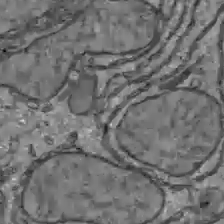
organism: C57BL Mouse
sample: Liver